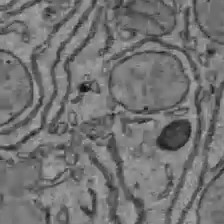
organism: C57BL Mouse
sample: Liver